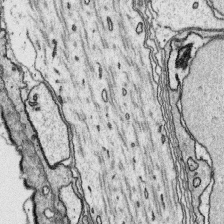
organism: Platynereis dumerilii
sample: Parapodia